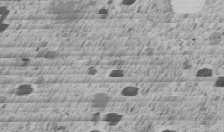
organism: C. elegans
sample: C. elegans embryo early stage